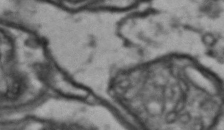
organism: Drosophila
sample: Brain